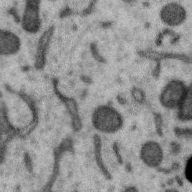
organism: Zebra finch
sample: Brain